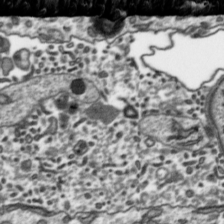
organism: Toxoplasma gondii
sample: Parasites in a vacuole inside a host cell